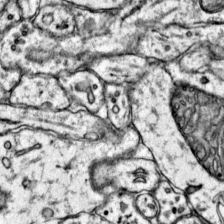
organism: Mouse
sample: Primary visual cortex